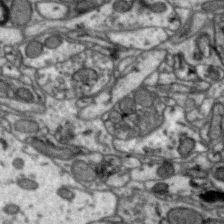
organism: Zebra finch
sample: Brain